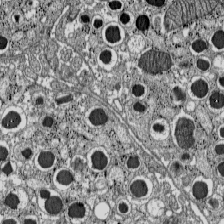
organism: C57BL Mouse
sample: Pancreatic islet